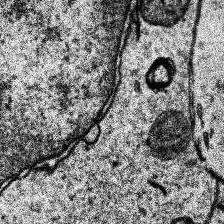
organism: Human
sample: Temporal Lobe